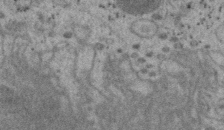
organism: Human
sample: HeLa cells